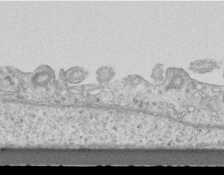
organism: Mouse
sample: Centriole in ependymal cells